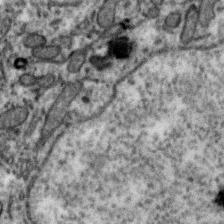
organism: Zebra finch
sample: Brain